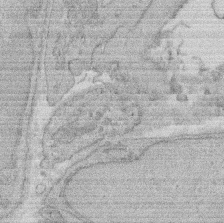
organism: Rat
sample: Salivary granule